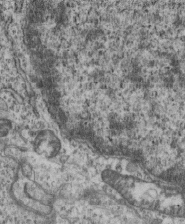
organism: Mouse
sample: Centriole in ependymal cells